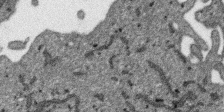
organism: Human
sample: Lung epithelial cells infected with SARS-CoV-2